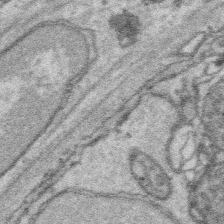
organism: Platynereis dumerilii